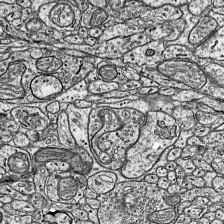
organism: Mouse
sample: Visual Cortex